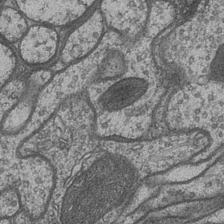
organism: Drosophila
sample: Optic medulla